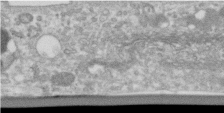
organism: Human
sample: Centriole in RPE cells